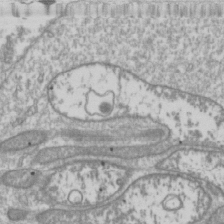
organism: Drosophila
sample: Cell division; meiosis; drosophila spermatocytes